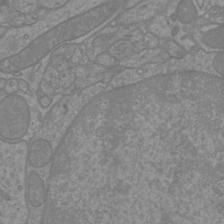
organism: Mouse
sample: Cortical neurons